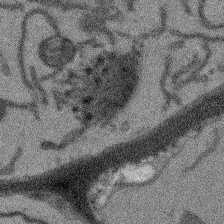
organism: Arabidopsis thaliana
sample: Root tip